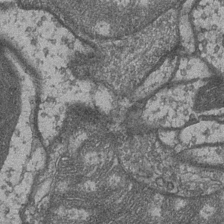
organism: Drosophila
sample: Optic medulla